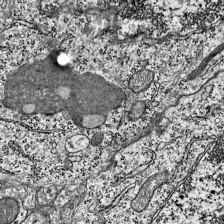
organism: Mouse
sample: Visual Cortex